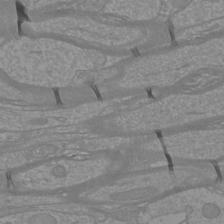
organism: Mouse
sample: Cortical neurons